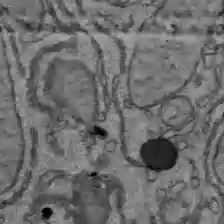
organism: C57BL Mouse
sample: Liver